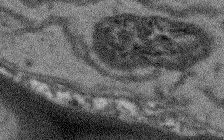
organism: Arabidopsis thaliana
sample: Root tip